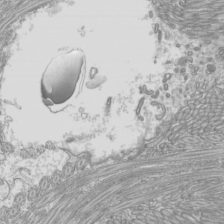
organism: Mouse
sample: Cilia; mouse epididymis